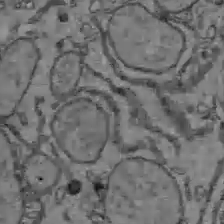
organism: C57BL Mouse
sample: Liver